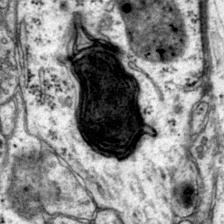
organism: Mouse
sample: Primary visual cortex